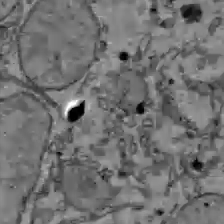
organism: C57BL Mouse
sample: Liver